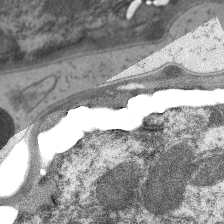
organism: C. elegans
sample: Pharynx